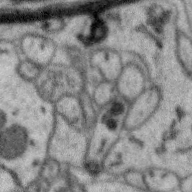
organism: Zebra finch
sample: Brain